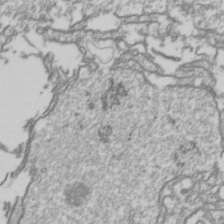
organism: Drosophila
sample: Cell division; meiosis; drosophila spermatocytes